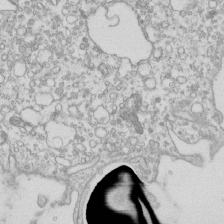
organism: Mouse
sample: Macrophages